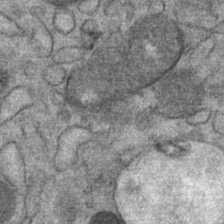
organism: Mouse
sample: Mouse Salivary gland